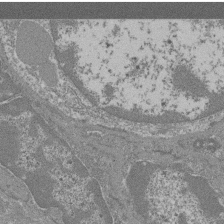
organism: Mouse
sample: Glomerulus